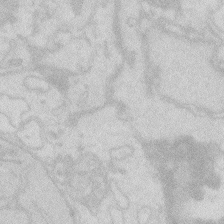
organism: Zebrafish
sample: Macrophage